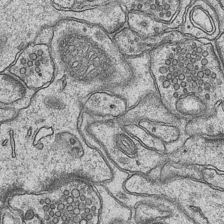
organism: Mouse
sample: CA1 Hippocampus